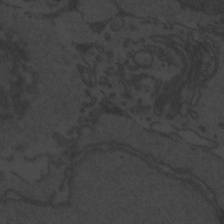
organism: Zebrafish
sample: Macrophage infected with Toxoplasma gondii